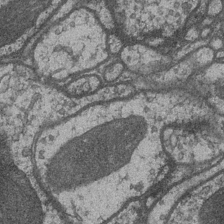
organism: Drosophila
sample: Optic medulla